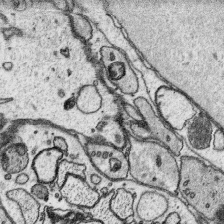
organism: Platynereis dumerilii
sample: Parapodia